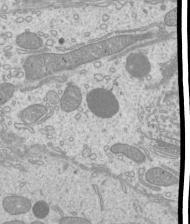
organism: Mouse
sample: Cilia; mouse epididymis